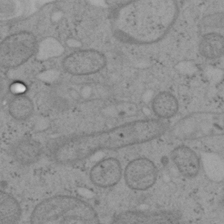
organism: Mouse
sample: OT-I killer T cells with ID8 ovarian cancer cells